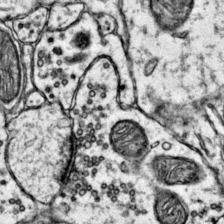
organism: Mouse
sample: Primary visual cortex